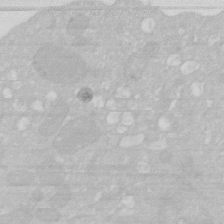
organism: Human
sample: HIV infected U937 cells